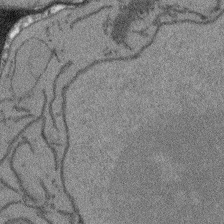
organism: Arabidopsis thaliana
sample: Root tip